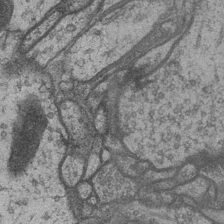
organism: Drosophila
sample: Optic medulla